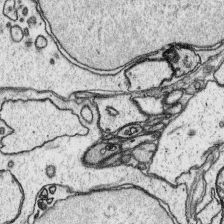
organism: Platynereis dumerilii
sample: Parapodia